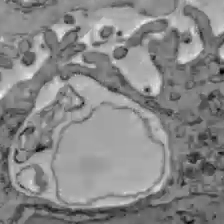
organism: C57BL Mouse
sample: Liver